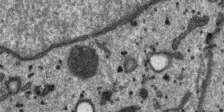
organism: Human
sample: Lung epithelial cells infected with SARS-CoV-2